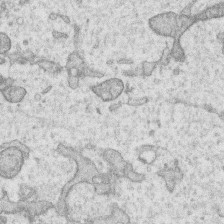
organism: Human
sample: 1205lu cells